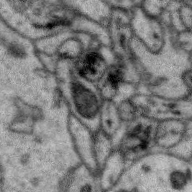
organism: Zebra finch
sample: Brain